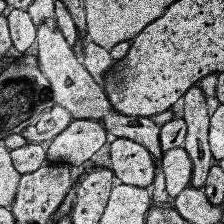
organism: Human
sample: Temporal Lobe